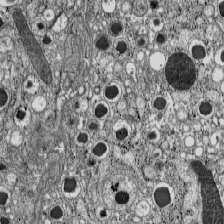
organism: C57BL Mouse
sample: Pancreatic islet